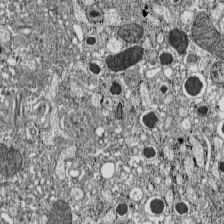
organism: C57BL Mouse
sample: Pancreatic islet